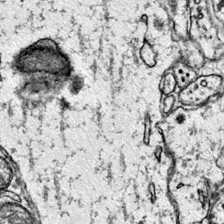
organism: Mouse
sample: Primary visual cortex